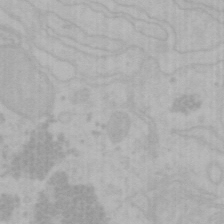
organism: Mouse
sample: Choroid plexus